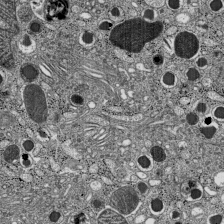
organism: C57BL Mouse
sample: Pancreatic islet